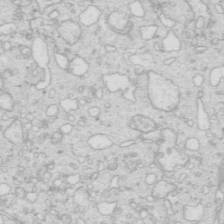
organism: Mouse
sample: Multiciliated cells